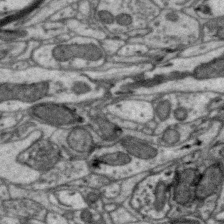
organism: Zebra finch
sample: Brain